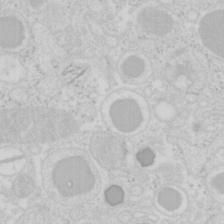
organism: Mouse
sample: Pancreas